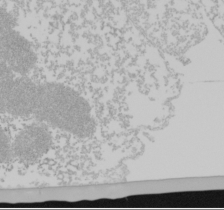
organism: Mouse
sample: Cancer cell death in ED-1 cells